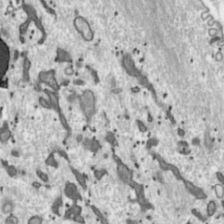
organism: Toxoplasma gondii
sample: Parasites in a vacuole inside a host cell